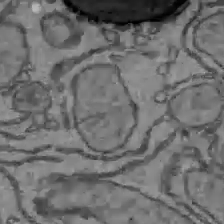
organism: C57BL Mouse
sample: Liver